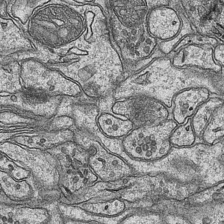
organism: Mouse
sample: CA1 Hippocampus